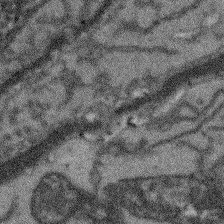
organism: Arabidopsis thaliana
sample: Root tip